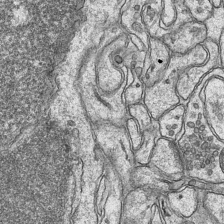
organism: Mouse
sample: CA1 Hippocampus